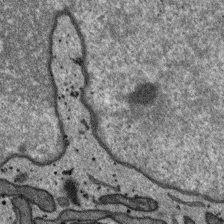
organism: Human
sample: Lung epithelial cells, uninfected (mock) control